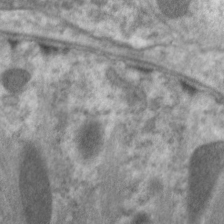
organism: C. elegans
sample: Pharynx